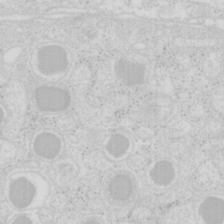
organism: Mouse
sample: Pancreas